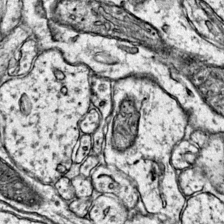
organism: Mouse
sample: Primary visual cortex